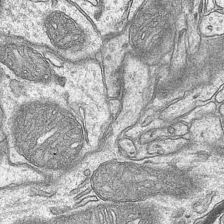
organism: Mouse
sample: CA1 Hippocampus